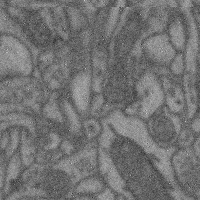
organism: Mouse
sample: Cerebral cortex